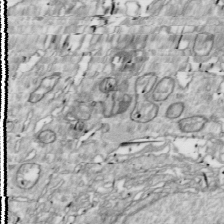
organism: Drosophila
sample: Cell division; meiosis; drosophila spermatocytes